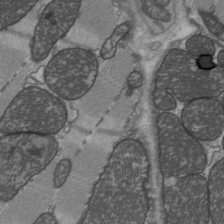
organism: C57BL Mouse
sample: Heart